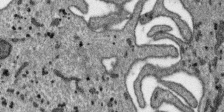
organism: Human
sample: Lung epithelial cells, uninfected (mock) control